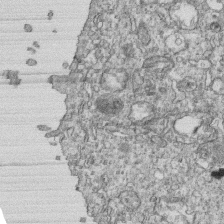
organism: Human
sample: HeLa cell HIV synapse